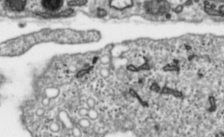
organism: Toxoplasma gondii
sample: Parasites in a vacuole inside a host cell